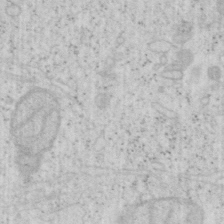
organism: Human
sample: HeLa cells